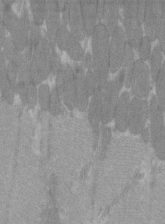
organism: C57BL Mouse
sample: Tibialis anterior muscle cell